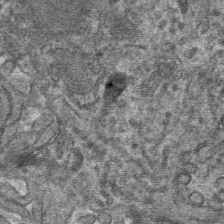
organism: Mouse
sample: Mouse hepatocytes